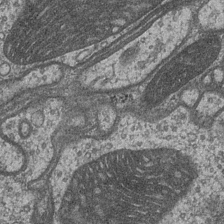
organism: Drosophila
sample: Optic medulla